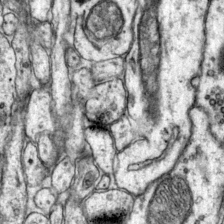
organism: Mouse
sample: Primary visual cortex